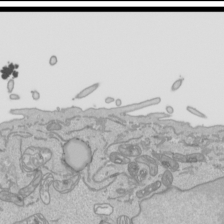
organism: Human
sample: Mitochondria in HCT116 cells